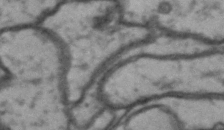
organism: Drosophila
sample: Brain